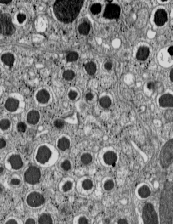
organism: C57BL Mouse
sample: Pancreatic islet